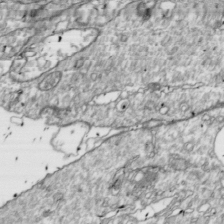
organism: Drosophila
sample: Cell division; meiosis; drosophila spermatocytes